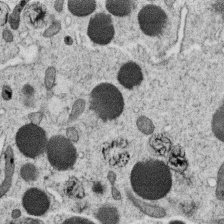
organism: C. elegans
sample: C. elegans oocyte; sperm cells